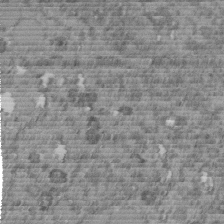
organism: C. elegans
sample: C. elegans embryo early stage